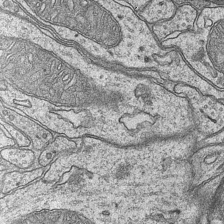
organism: Mouse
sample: CA1 Hippocampus